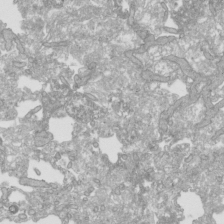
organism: Human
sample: Mitochondria in HCT116 cells